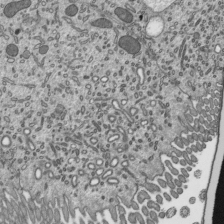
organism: Mouse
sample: Mouse epididymis efferent ductule cilia